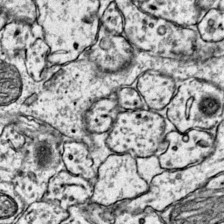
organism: Mouse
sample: Primary visual cortex